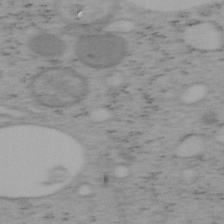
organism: Mouse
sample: OT-I killer T cells with ID8 ovarian cancer cells